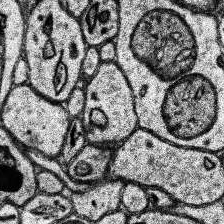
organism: Human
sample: Temporal Lobe